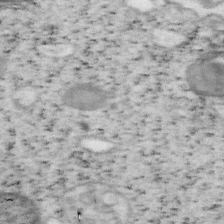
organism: Mouse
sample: OT-I killer T cells with ID8 ovarian cancer cells